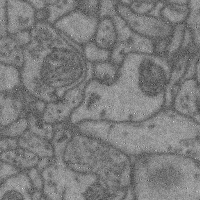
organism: Mouse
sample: Cerebral cortex